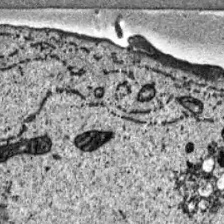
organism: Human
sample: HeLa cells